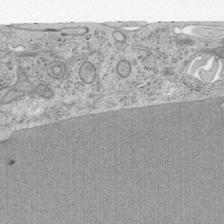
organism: Human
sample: HeLa cells